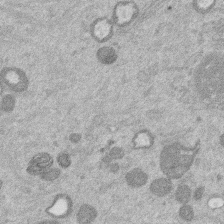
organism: Mouse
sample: Dividing mouse embryo 1 cell stage